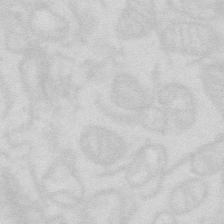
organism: Human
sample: HeLa cells